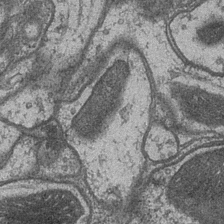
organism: Drosophila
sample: Optic medulla